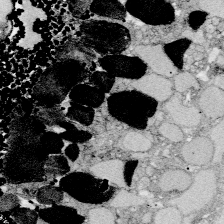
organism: Zebrafish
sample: Whole-Brain